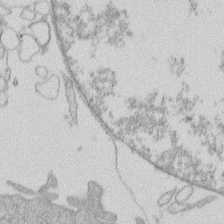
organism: Human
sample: Macrophage cells